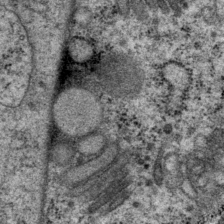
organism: P. pacificus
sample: Pharynx